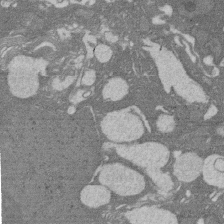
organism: Rat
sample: Salivary granule